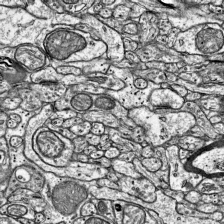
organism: Mouse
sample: Visual Cortex